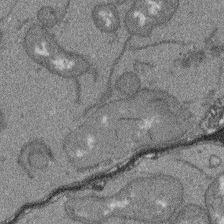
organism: Arabidopsis thaliana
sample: Root tip